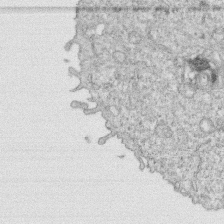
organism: Human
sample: HeLa cell HIV synapse